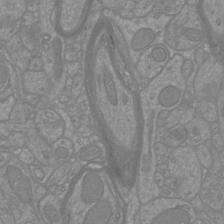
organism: Mouse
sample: Cortical neurons